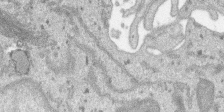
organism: Human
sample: Lung epithelial cells infected with SARS-CoV-2